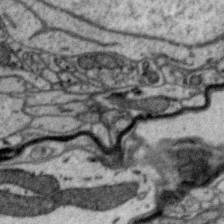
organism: Zebra finch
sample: Brain